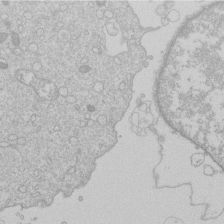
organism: Human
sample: Macrophage cells